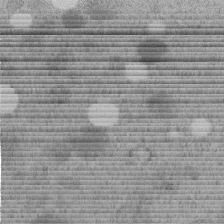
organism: C. elegans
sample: C. elegans embryo early stage